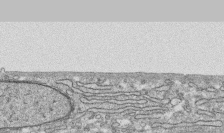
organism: Human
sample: CRL-1474